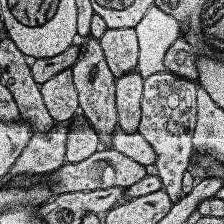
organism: Human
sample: Temporal Lobe